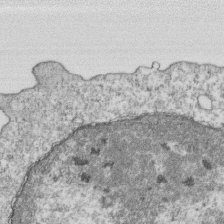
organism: Mouse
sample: Activated OT-1 CD8+ T cells